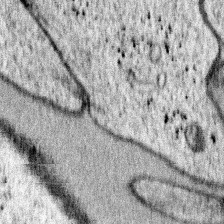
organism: Human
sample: HeLa cells